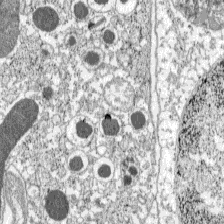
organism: C57BL Mouse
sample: Pancreatic islet